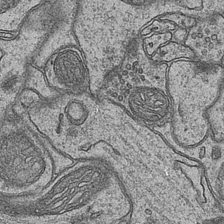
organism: Mouse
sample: CA1 Hippocampus